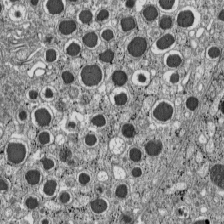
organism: C57BL Mouse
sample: Pancreatic islet